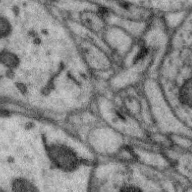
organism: Zebra finch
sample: Brain